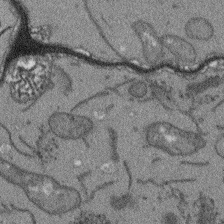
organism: Arabidopsis thaliana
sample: Root tip